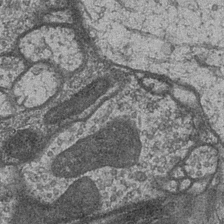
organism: Drosophila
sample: Optic medulla